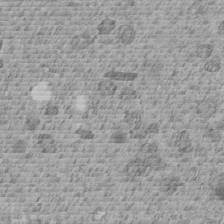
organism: C. elegans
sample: C. elegans embryo early stage